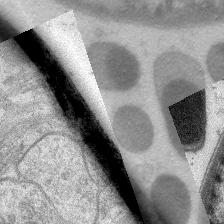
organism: C. elegans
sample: Pharynx